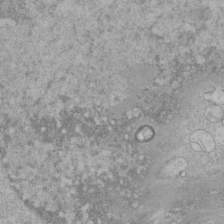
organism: Human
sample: Mitochondria in HCT116 cells